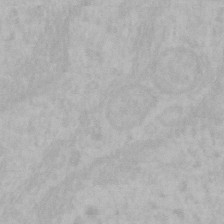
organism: Mouse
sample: Choroid plexus